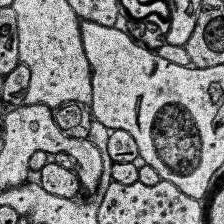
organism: Human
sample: Temporal Lobe